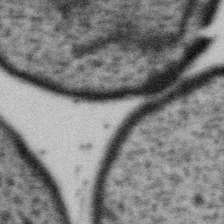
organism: Gemmata obscuriglobus